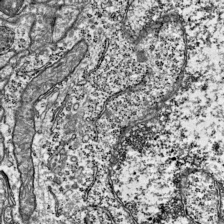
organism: Mouse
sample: Visual Cortex